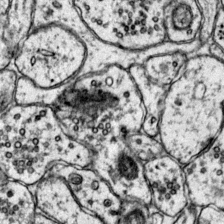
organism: Mouse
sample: Primary visual cortex